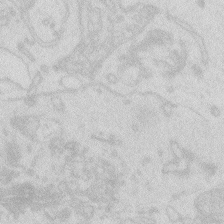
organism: Zebrafish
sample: Macrophage